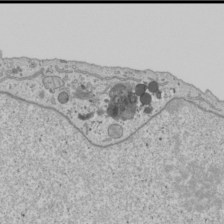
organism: Human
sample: Mitochondria in U2OS cells